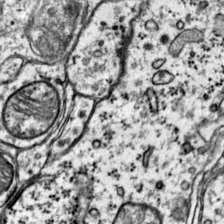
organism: Mouse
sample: Primary visual cortex